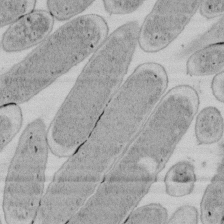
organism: E. coli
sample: Bacterial nucleoid